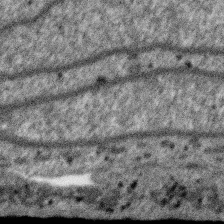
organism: Human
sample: Lung epithelial cells infected with SARS-CoV-2